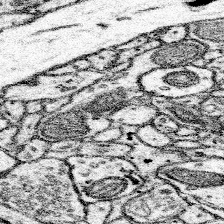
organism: Mouse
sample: Somatosensory cortex neuropil